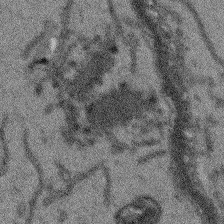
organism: Arabidopsis thaliana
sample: Root tip